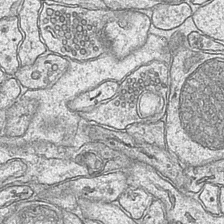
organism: Mouse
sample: CA1 Hippocampus